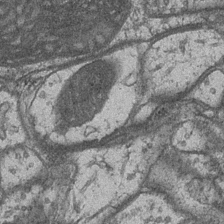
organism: Drosophila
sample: Optic medulla